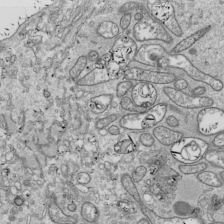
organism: Drosophila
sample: Cell division; meiosis; drosophila spermatocytes